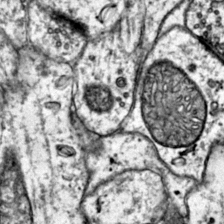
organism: Mouse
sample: Primary visual cortex